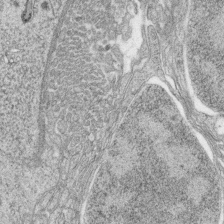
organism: Zebrafish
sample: synaptic ribbons in rod cells and cone cells